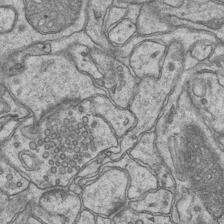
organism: Mouse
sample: CA1 Hippocampus